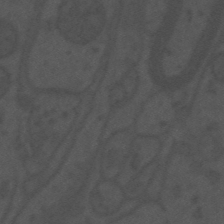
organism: Mouse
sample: Suprachiasmatic nucleus